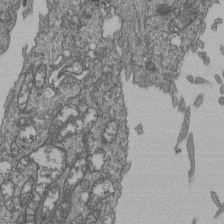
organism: Human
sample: Retinal organoid Rod and Cone cells